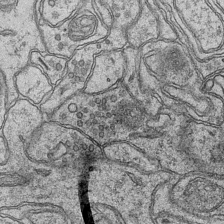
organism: Mouse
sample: CA1 Hippocampus